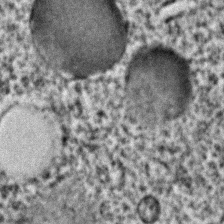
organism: C. elegans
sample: C. elegans embryo